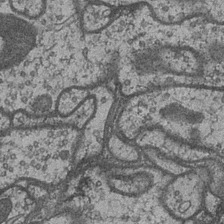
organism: Drosophila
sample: Optic medulla